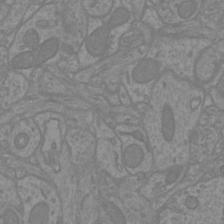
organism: Mouse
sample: Cortical neurons